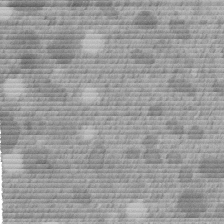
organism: C. elegans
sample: C. elegans embryo early stage